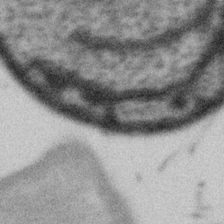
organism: Gemmata obscuriglobus